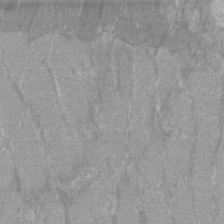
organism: C57BL Mouse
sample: Tibialis anterior muscle cell